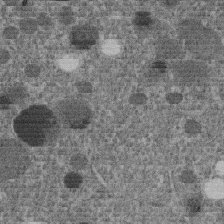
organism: C. elegans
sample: C. elegans embryo early stage